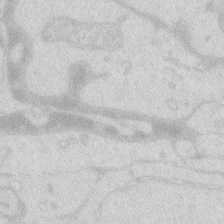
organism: Zebrafish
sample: Macrophage